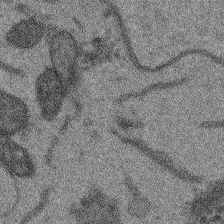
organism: Arabidopsis thaliana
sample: Root tip